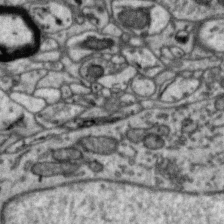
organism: Zebra finch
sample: Brain